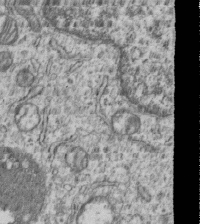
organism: Human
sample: MDA-MB-231 cells